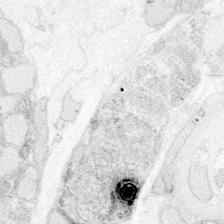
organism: Zebrafish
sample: Whole-Brain